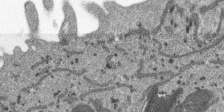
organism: Human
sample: Lung epithelial cells infected with SARS-CoV-2